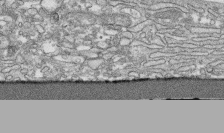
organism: Human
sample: CRL-1474